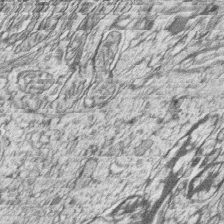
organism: Zebrafish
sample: synaptic ribbons in rod cells and cone cells